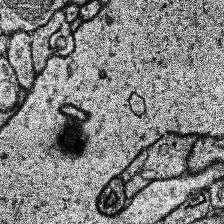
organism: Human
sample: Temporal Lobe